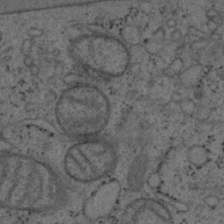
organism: Human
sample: HeLa cells